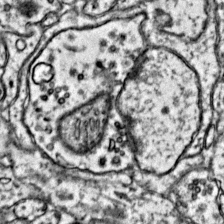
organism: Mouse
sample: Primary visual cortex